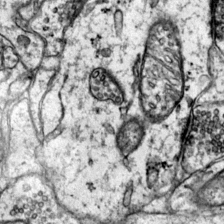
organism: Mouse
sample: Primary visual cortex